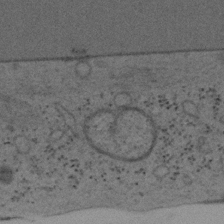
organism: Human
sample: HeLa cells